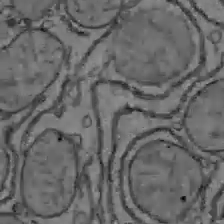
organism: C57BL Mouse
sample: Liver